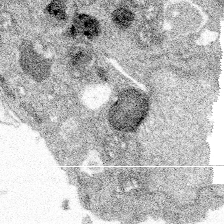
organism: Spongilla lacustris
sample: Multiple